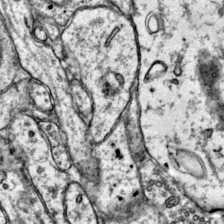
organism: Mouse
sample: Primary visual cortex